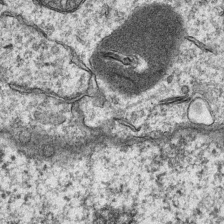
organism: Mouse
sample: CA1 Hippocampus